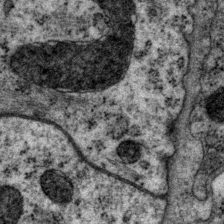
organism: P. pacificus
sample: Pharynx